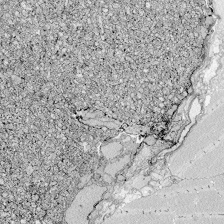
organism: Zebrafish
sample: Whole-Brain